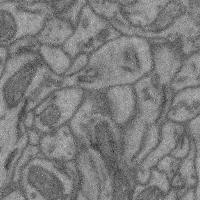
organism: Mouse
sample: Cerebral cortex